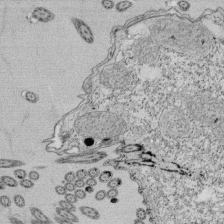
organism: Tetrahymena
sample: Cilia in tetrahymena